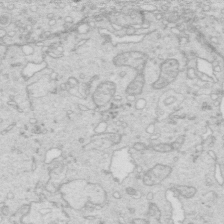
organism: Mouse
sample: Multiciliated cells